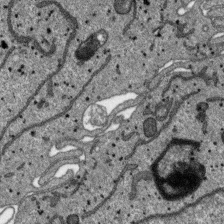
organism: Human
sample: Lung epithelial cells, uninfected (mock) control